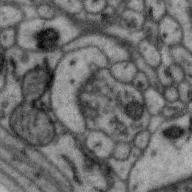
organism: Zebra finch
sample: Brain